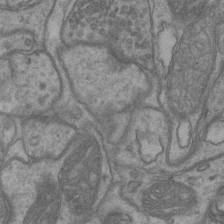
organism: Mouse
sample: CA1 Hippocampus